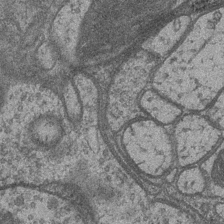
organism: Drosophila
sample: Optic medulla